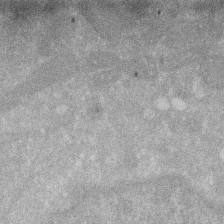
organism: Human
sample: HIV infected U937 cells